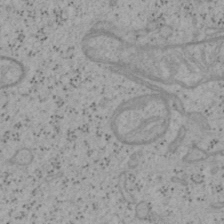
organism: Human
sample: HeLa cells